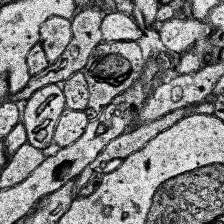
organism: Human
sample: Temporal Lobe